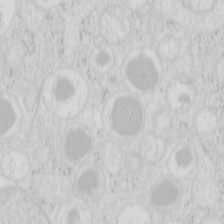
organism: Mouse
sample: Pancreas